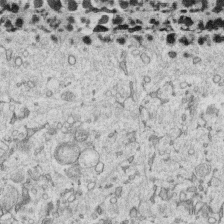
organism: Human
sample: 1205lu cells